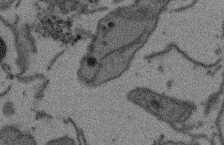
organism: Arabidopsis thaliana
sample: Root tip